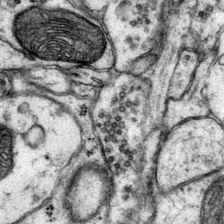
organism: Mouse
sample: Primary visual cortex